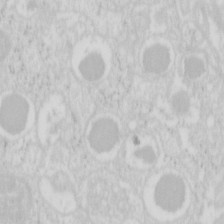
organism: Mouse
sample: Pancreas